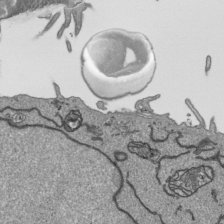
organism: Human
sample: Mitochondria in HCT116 cells